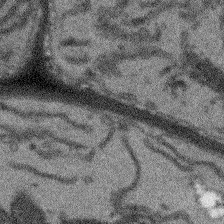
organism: Arabidopsis thaliana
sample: Root tip